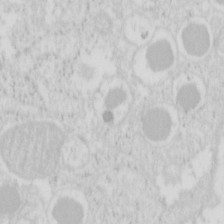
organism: Mouse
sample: Pancreas